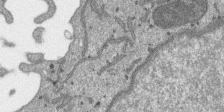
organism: Human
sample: Lung epithelial cells infected with SARS-CoV-2